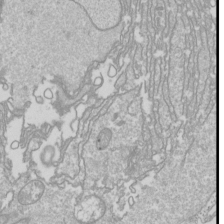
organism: Drosophila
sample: Cell division; meiosis; drosophila spermatocytes